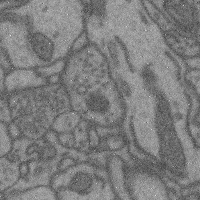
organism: Mouse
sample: Cerebral cortex